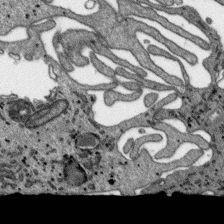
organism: Human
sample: Lung epithelial cells, uninfected (mock) control